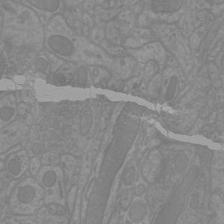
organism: Mouse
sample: Cortical neurons